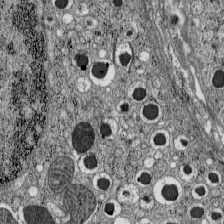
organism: C57BL Mouse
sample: Pancreatic islet